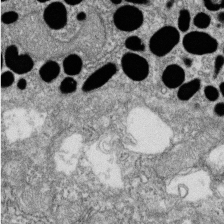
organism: Zebrafish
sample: Cilia; retinal pigment epithelium